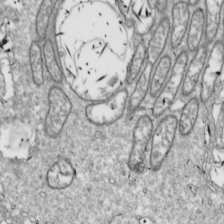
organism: Drosophila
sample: Cell division; meiosis; drosophila spermatocytes